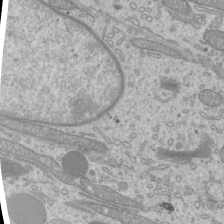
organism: Mouse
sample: Cilia; mouse epididymis